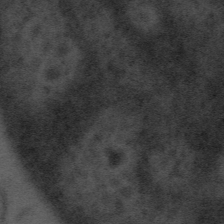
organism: Tuwongella immobilis